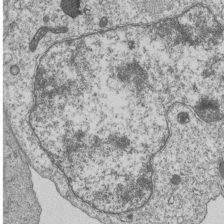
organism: Human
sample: MDA-MB-231 cells